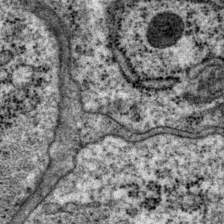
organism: P. pacificus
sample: Pharynx